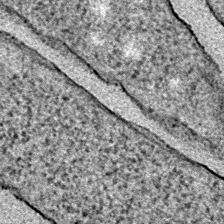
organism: E. coli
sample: E. Coli Bacteria